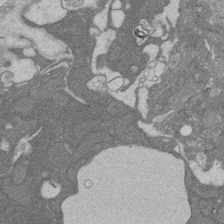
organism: Rat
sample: Salivary granule